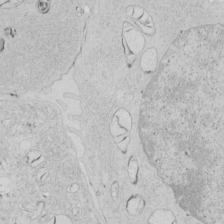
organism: Human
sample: Mitochondria in HCT116 cells